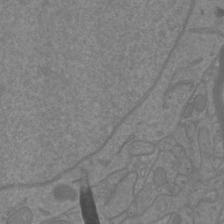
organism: Mouse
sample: Cortical neurons